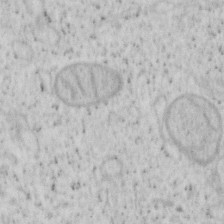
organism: Human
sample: HeLa cells